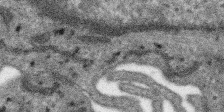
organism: Human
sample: Lung epithelial cells infected with SARS-CoV-2